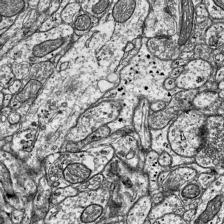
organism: Mouse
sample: Visual Cortex